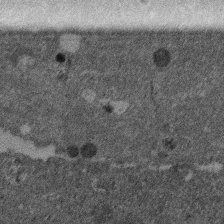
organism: Mouse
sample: Dividing mouse embryo 1 cell stage